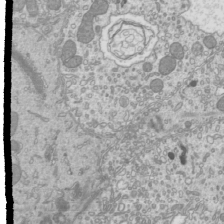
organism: Mouse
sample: Cilia; mouse epididymis